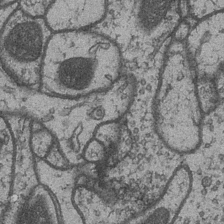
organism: Drosophila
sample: Optic medulla